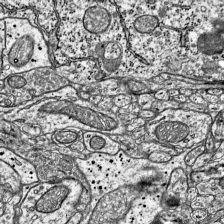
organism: Mouse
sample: Visual Cortex